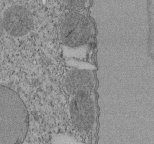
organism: Tetrahymena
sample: Cilia in tetrahymena